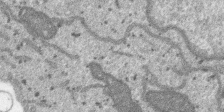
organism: Human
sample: Lung epithelial cells infected with SARS-CoV-2